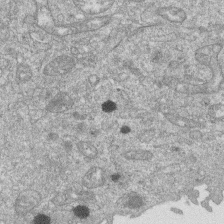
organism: Human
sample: HeLa cell HIV synapse